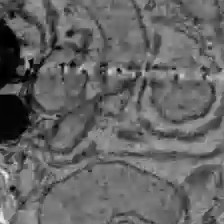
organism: C57BL Mouse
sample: Liver